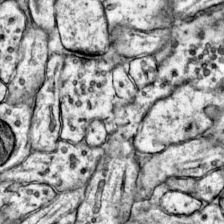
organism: Mouse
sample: Primary visual cortex